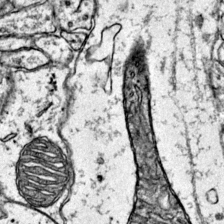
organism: Mouse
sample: Primary visual cortex